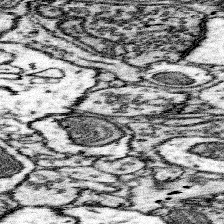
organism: Mouse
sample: Somatosensory cortex neuropil